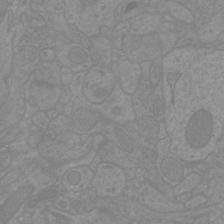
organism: Mouse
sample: Cortical neurons